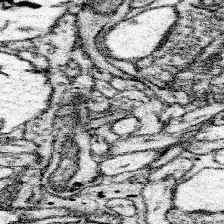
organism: Mouse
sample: Somatosensory cortex neuropil